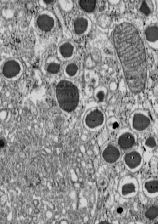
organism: C57BL Mouse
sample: Pancreatic islet